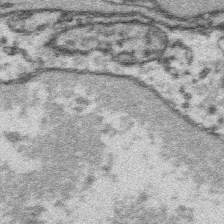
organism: Platynereis dumerilii